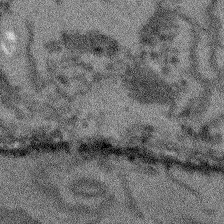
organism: Arabidopsis thaliana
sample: Root tip